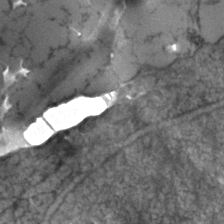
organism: Human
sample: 1205lu cells